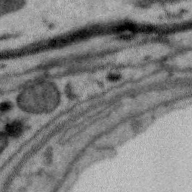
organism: Zebra finch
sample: Brain